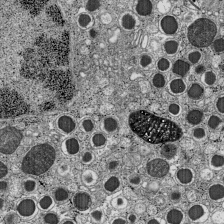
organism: C57BL Mouse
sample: Pancreatic islet